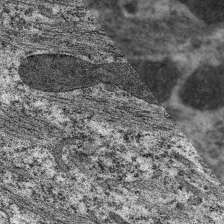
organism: C. elegans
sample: Pharynx